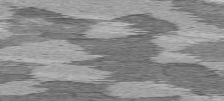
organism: C57BL Mouse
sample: Heart